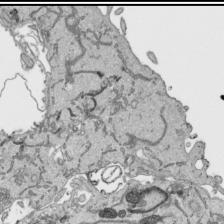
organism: Human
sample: Mitochondria in HCT116 cells